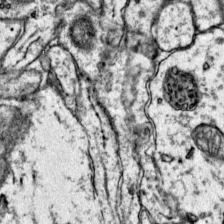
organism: Mouse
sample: Primary visual cortex